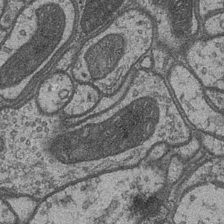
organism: Drosophila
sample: Optic medulla